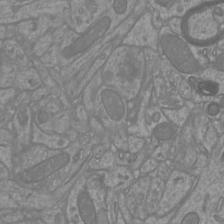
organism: Mouse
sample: Cortical neurons